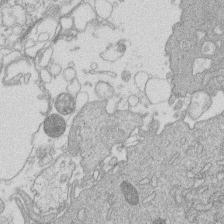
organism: Human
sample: Macrophage cells